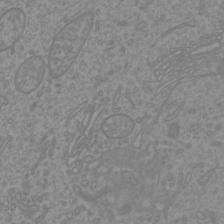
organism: Mouse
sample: Cortical neurons